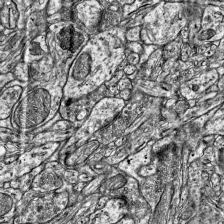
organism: Mouse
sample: Visual Cortex